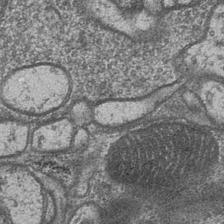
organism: Drosophila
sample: Optic medulla